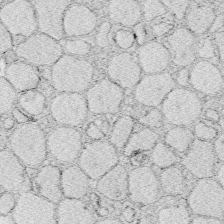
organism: Zebrafish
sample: Whole-Brain